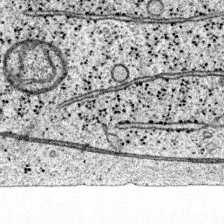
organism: Human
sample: HeLa cells